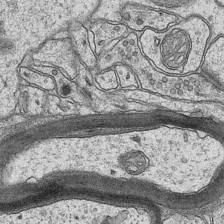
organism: Mouse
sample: CA1 Hippocampus